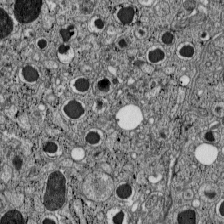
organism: C57BL Mouse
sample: Pancreatic islet